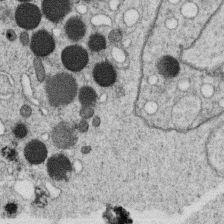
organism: C. elegans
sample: C. elegans oocyte; sperm cells